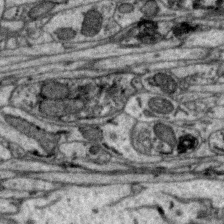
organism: Zebra finch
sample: Brain